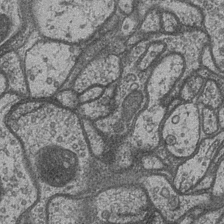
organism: Drosophila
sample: Optic medulla